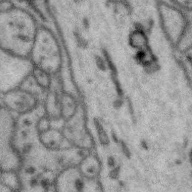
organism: Zebra finch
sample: Brain